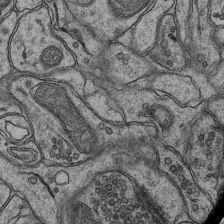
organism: Mouse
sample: CA1 Hippocampus